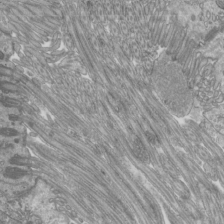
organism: Mouse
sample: Cilia; mouse epididymis